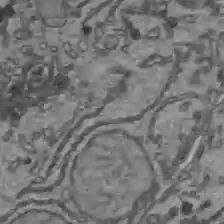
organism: C57BL Mouse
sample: Liver